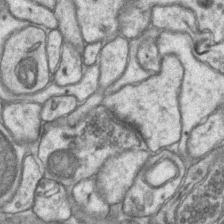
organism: Mouse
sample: CA1 Hippocampus